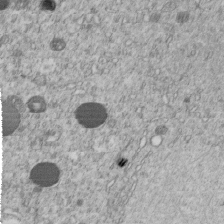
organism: C. elegans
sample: C. elegans embryo early stage